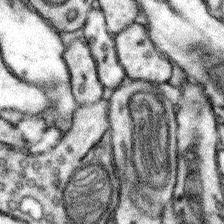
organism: Mouse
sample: Somatosensory cortex neuropil